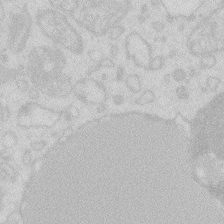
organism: Zebrafish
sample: Macrophage